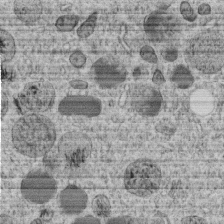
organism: C. elegans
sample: C. elegans embryo early stage